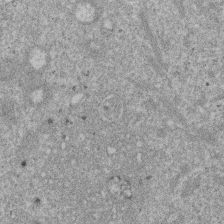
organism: Mouse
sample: Dividing mouse embryo 1 cell stage